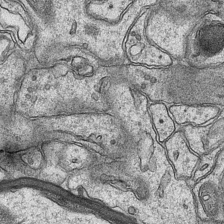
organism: Mouse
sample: CA1 Hippocampus